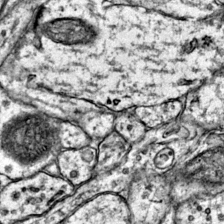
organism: Mouse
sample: Primary visual cortex